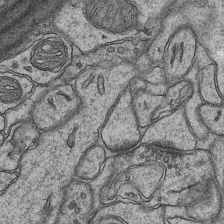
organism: Mouse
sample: CA1 Hippocampus